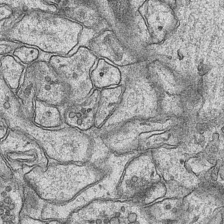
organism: Mouse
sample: CA1 Hippocampus